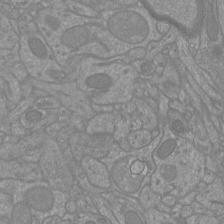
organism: Mouse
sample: Cortical neurons